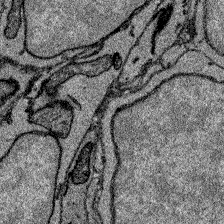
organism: Zebrafish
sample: Larval olfactory bulb